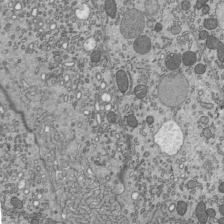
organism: Mouse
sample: Mouse epididymis efferent ductule cilia